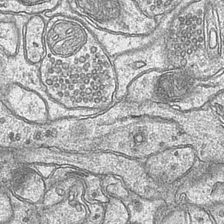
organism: Mouse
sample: CA1 Hippocampus